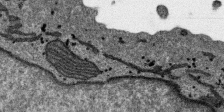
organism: Human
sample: Lung epithelial cells, uninfected (mock) control